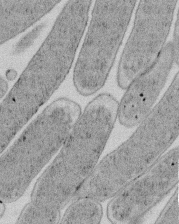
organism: E. coli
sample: Bacterial nucleoid